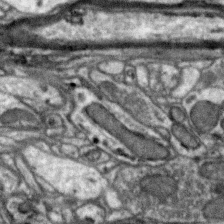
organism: Zebra finch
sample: Brain